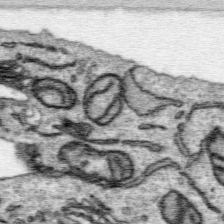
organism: Human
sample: HeLa cells